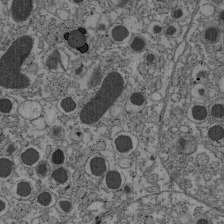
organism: C57BL Mouse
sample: Pancreatic islet